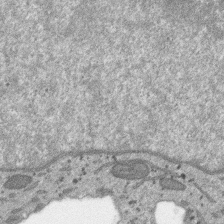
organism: Human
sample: Lung epithelial cells infected with SARS-CoV-2